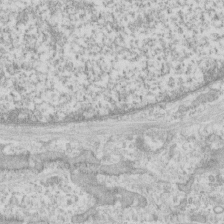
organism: Human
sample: CRL-1474